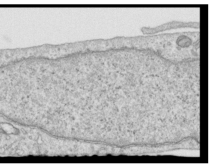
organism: Human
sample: Centriole in RPE cells